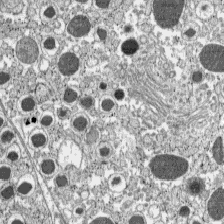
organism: C57BL Mouse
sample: Pancreatic islet